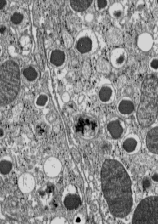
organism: C57BL Mouse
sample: Pancreatic islet